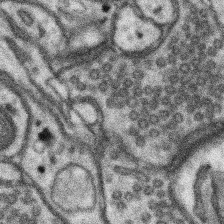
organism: Mouse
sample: Somatosensory cortex neuropil